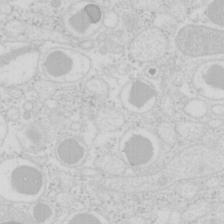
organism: Mouse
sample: Pancreas